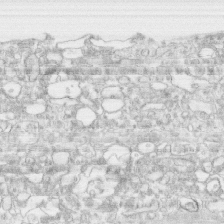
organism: Human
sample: CRL-1474